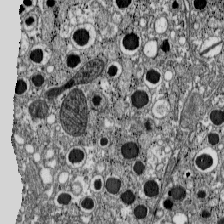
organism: C57BL Mouse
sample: Pancreatic islet